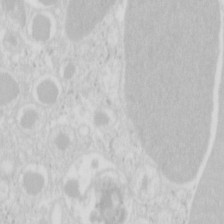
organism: Mouse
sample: Pancreas